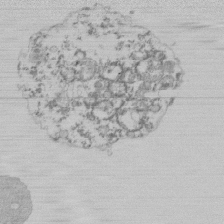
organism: Mouse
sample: Activated Pmel transgenic CD8+ T Cells